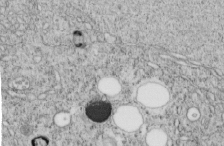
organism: C. elegans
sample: C. elegans embryo early stage